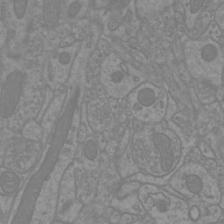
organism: Mouse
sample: Cortical neurons